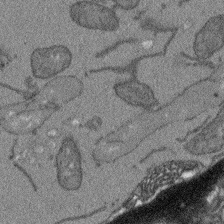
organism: Arabidopsis thaliana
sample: Root tip